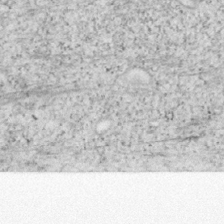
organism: Mouse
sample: OT-I killer T cells with ID8 ovarian cancer cells